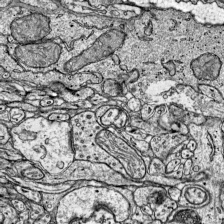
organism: Mouse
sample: Visual Cortex